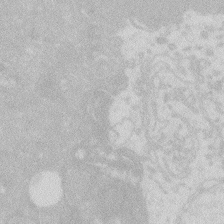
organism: Zebrafish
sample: Macrophage